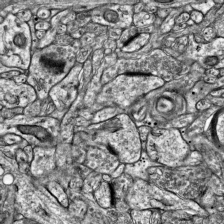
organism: Mouse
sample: Visual Cortex